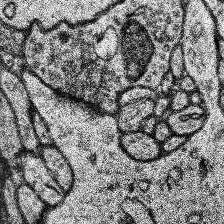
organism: Human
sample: Temporal Lobe